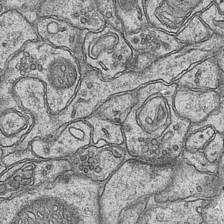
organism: Mouse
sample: CA1 Hippocampus